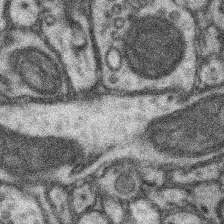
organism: Mouse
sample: Somatosensory cortex neuropil